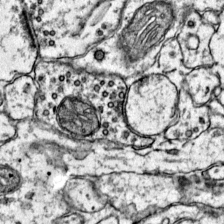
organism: Mouse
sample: Primary visual cortex